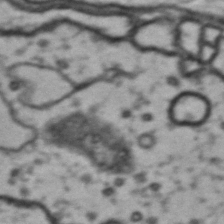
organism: Drosophila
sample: Brain